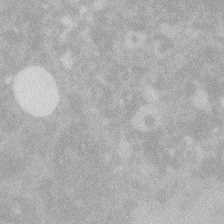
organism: Zebrafish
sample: Macrophage